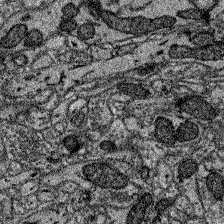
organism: Zebrafish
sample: Larval olfactory bulb